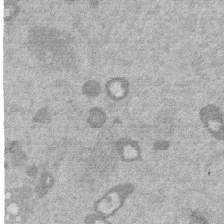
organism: Mouse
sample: Dividing mouse embryo 1 cell stage